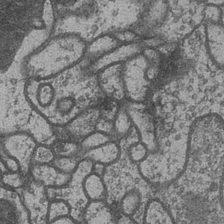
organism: Drosophila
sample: Optic medulla